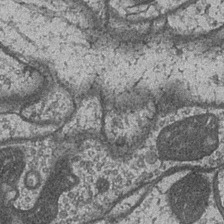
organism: Drosophila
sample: Optic medulla